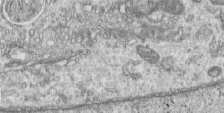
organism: Human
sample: Centriole in RPE cells